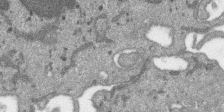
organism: Human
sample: Lung epithelial cells infected with SARS-CoV-2